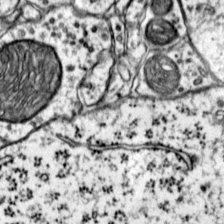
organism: Mouse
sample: Primary visual cortex